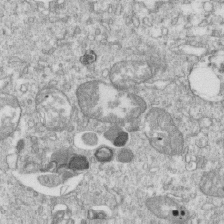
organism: Mouse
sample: Activated OT-1 CD8+ T cells